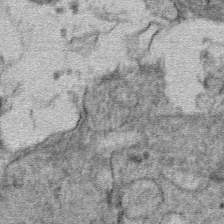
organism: Mouse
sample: Mouse hepatocytes